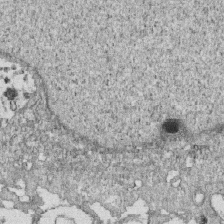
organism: Human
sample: HeLa cell HIV synapse